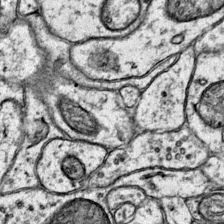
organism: Mouse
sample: Primary visual cortex